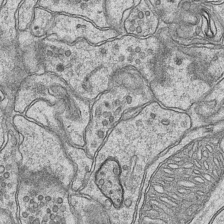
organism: Mouse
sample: CA1 Hippocampus